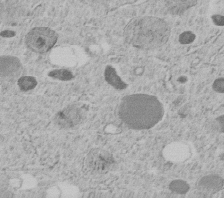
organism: C. elegans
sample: C. elegans embryo early stage